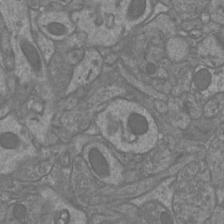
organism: Mouse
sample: Cortical neurons